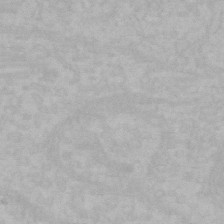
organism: Mouse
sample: Choroid plexus